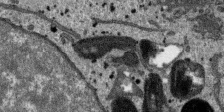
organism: Human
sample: Lung epithelial cells, uninfected (mock) control